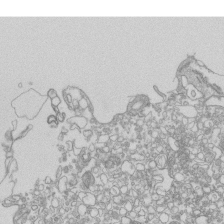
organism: Mouse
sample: Macrophages